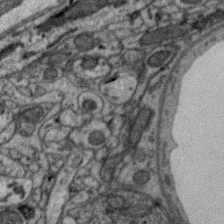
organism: Zebra finch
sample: Brain